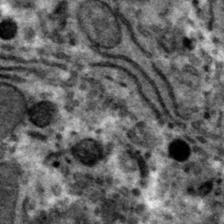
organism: Mouse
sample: Mouse hepatocytes